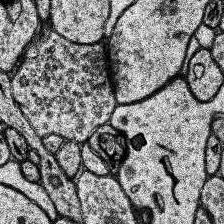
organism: Human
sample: Temporal Lobe